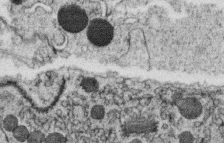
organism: C. elegans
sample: C. elegans oocyte; sperm cells